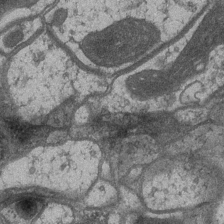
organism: Drosophila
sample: Optic medulla